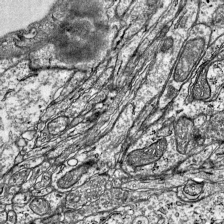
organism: Mouse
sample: Visual Cortex